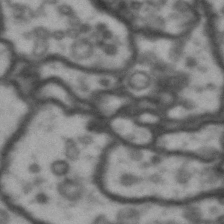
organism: Drosophila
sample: Brain